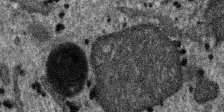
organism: Human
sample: Lung epithelial cells infected with SARS-CoV-2